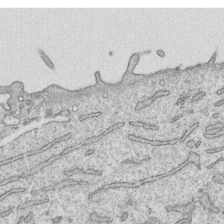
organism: Human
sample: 1205lu cells